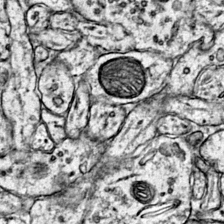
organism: Mouse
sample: Primary visual cortex